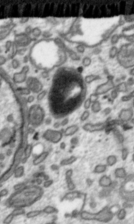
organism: Toxoplasma gondii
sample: Parasites in a vacuole inside a host cell